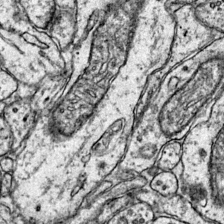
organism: Mouse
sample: Primary visual cortex